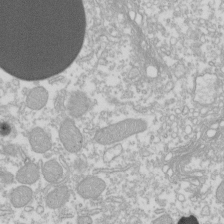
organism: Xenopus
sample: Cilia; centrioles in frog embryo cells